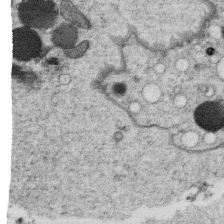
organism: C. elegans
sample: C. elegans oocyte; sperm cells